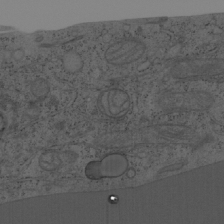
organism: Human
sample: HeLa cells